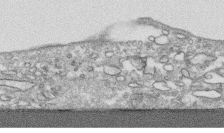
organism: Human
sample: CRL-1474